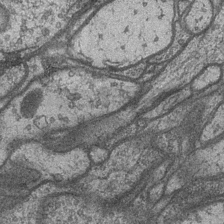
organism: Drosophila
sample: Optic medulla